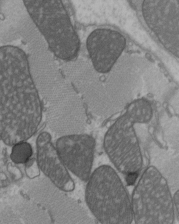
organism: C57BL Mouse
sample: Heart